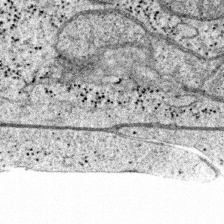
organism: Human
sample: HeLa cells